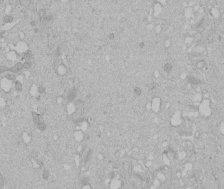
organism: Human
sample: Melanocyte Keratinocyte synapse skin construct